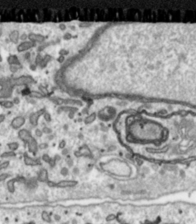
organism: Toxoplasma gondii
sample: Parasites in a vacuole inside a host cell